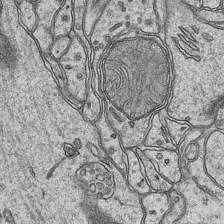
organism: Mouse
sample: CA1 Hippocampus